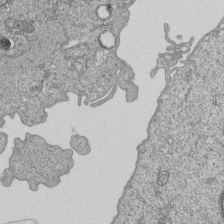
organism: Human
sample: MDA-MB-231 cells